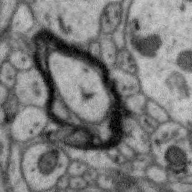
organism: Zebra finch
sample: Brain